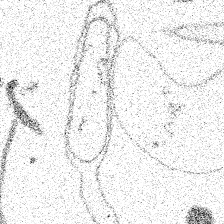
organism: Spongilla lacustris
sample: Multiple